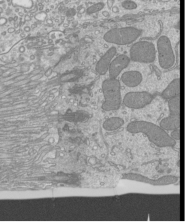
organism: Mouse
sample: Cilia; mouse epididymis